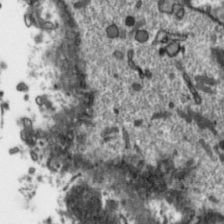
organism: Toxoplasma gondii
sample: Parasites in a vacuole inside a host cell